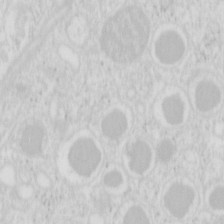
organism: Mouse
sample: Pancreas